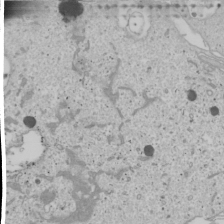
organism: Human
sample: Mitochondria in U2OS cells